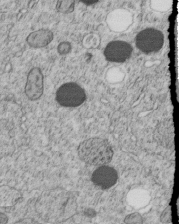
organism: C. elegans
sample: C. elegans embryo early stage